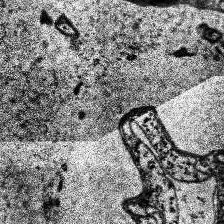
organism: Human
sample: Temporal Lobe